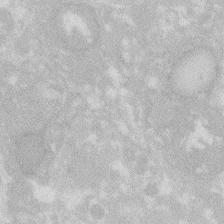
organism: Zebrafish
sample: Macrophage